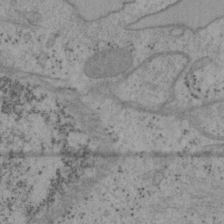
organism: Human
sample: HeLa cells